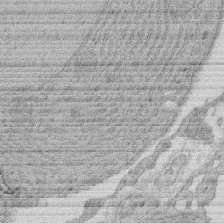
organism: Rat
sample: Salivary granule